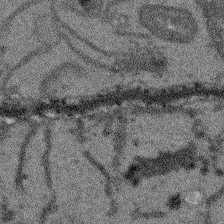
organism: Arabidopsis thaliana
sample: Root tip